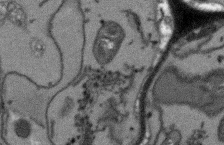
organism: Arabidopsis thaliana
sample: Root tip